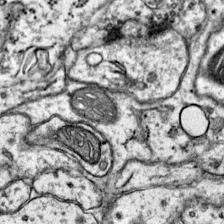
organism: Mouse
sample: Primary visual cortex